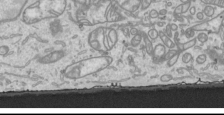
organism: Human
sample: Mitochondria in HCT116 cells